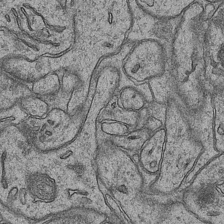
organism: Mouse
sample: CA1 Hippocampus